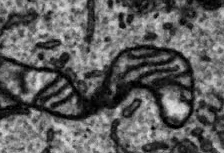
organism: Human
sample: HeLa cells